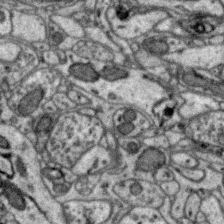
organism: Zebra finch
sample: Brain